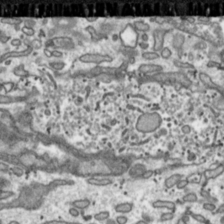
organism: Toxoplasma gondii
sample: Parasites in a vacuole inside a host cell